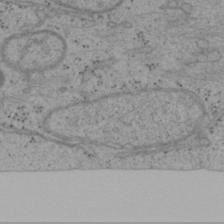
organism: Human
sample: HeLa cells